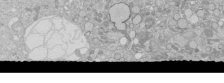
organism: Human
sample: Caco-2 cells